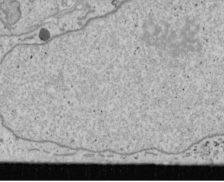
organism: Human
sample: Mitochondria in U2OS cells